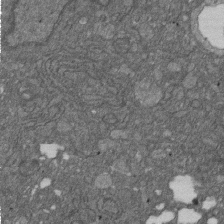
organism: Drosophila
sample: Nephrocyte